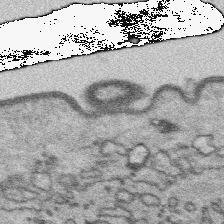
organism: Platynereis dumerilii